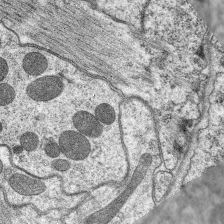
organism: C. elegans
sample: Pharynx